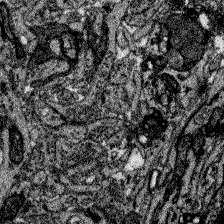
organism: Zebrafish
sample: Larval olfactory bulb